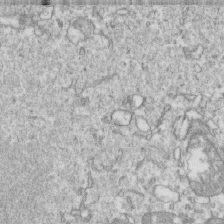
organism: Mouse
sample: Activated OT-1 CD8+ T cells